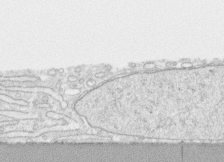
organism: Human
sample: CRL-1474